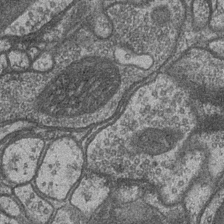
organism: Drosophila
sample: Optic medulla